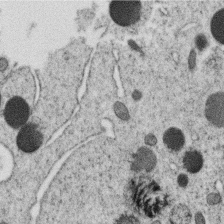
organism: C. elegans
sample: C. elegans oocyte; sperm cells